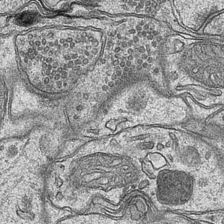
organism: Mouse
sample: CA1 Hippocampus